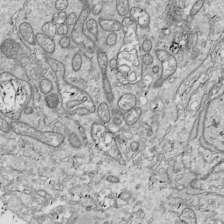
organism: Drosophila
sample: Cell division; meiosis; drosophila spermatocytes